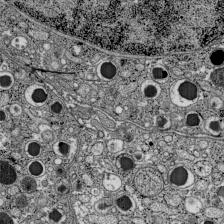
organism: C57BL Mouse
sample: Pancreatic islet